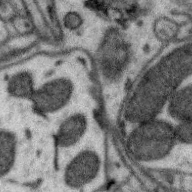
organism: Zebra finch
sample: Brain